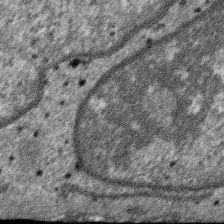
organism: Human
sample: Lung epithelial cells infected with SARS-CoV-2